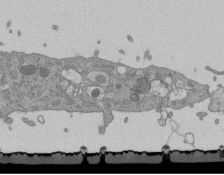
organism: Mouse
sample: ED-1 cell nuclei; centrioles